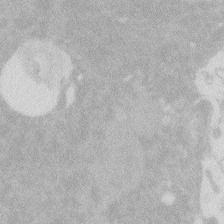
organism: Zebrafish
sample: Macrophage